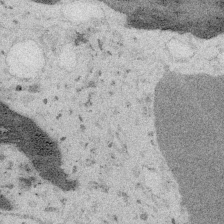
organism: Embia sp.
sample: Silk gland